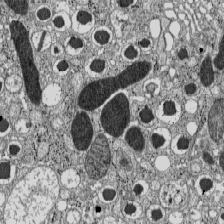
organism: C57BL Mouse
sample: Pancreatic islet